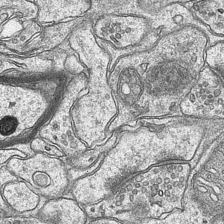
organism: Mouse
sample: CA1 Hippocampus